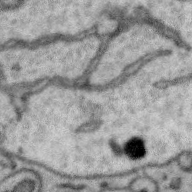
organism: Zebra finch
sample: Brain